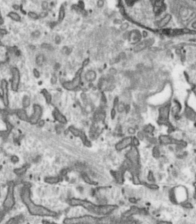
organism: Toxoplasma gondii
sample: Parasites in a vacuole inside a host cell